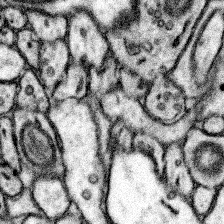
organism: Mouse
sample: Somatosensory cortex neuropil